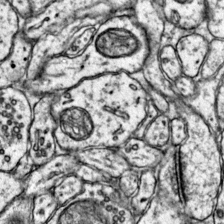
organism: Mouse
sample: Primary visual cortex